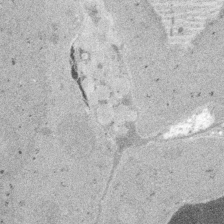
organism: Embia sp.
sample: Silk gland